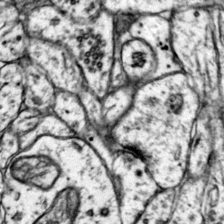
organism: Mouse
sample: Primary visual cortex